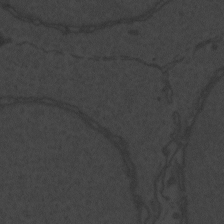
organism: Zebrafish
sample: Macrophage infected with Toxoplasma gondii